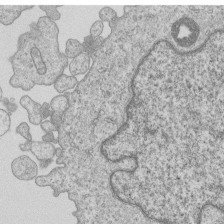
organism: Human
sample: MDA-MB-231 cells